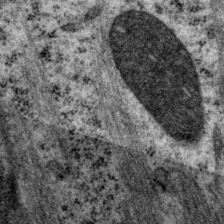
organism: P. pacificus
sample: Pharynx